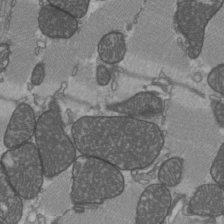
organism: C57BL Mouse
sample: Heart